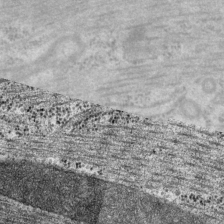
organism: P. pacificus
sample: Pharynx